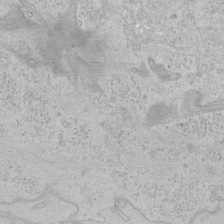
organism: Human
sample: Mitochondria in HCT116 cells